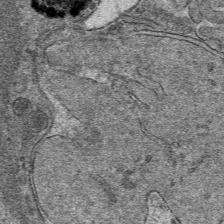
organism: Mouse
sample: Mouse hepatocytes